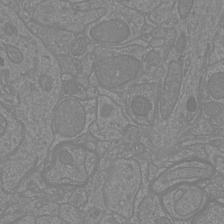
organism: Mouse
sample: Cortical neurons